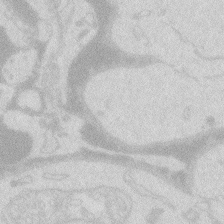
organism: Zebrafish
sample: Macrophage